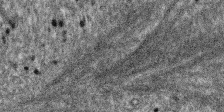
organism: Human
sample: Lung epithelial cells infected with SARS-CoV-2